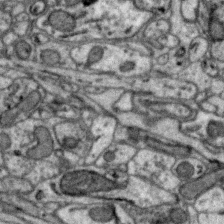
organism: Zebra finch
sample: Brain